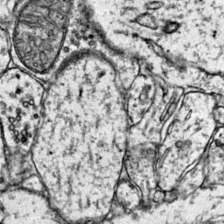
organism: Mouse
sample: Primary visual cortex